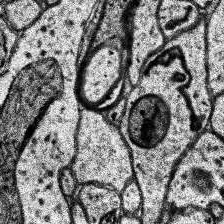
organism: Human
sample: Temporal Lobe